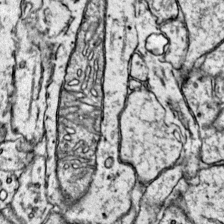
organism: Mouse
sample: Primary visual cortex